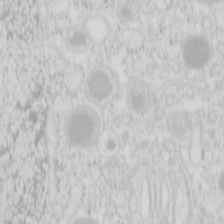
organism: Mouse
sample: Pancreas